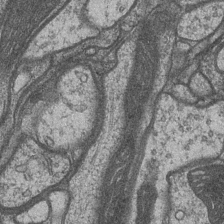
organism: Drosophila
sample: Optic medulla